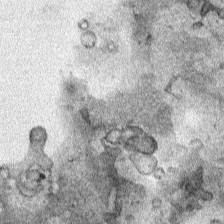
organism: Human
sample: Mitochondria in HCT116 cells